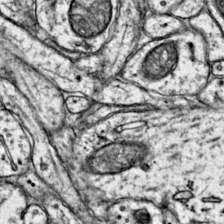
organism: Mouse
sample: Primary visual cortex